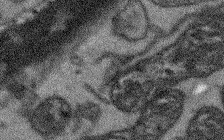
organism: Arabidopsis thaliana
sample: Root tip